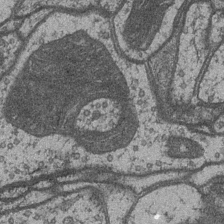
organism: Drosophila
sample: Optic medulla